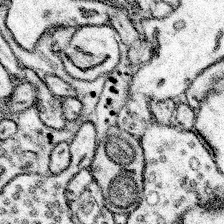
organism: Mouse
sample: Somatosensory cortex neuropil